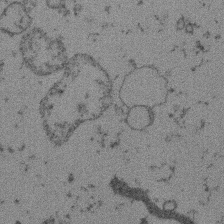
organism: Mouse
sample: Dividing mouse embryo 1 cell stage